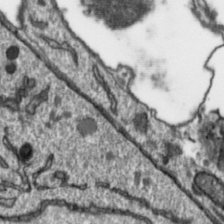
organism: Toxoplasma gondii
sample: Parasites in a vacuole inside a host cell